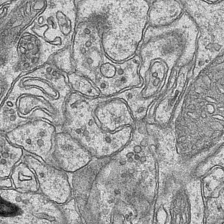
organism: Mouse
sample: CA1 Hippocampus